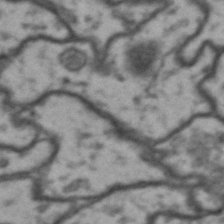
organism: Drosophila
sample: Brain